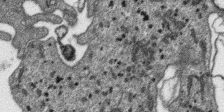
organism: Human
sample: Lung epithelial cells infected with SARS-CoV-2